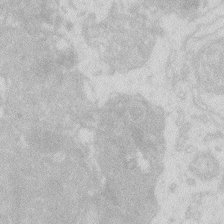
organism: Zebrafish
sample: Macrophage